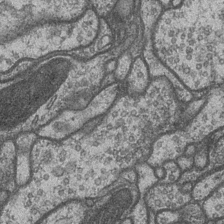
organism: Drosophila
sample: Optic medulla